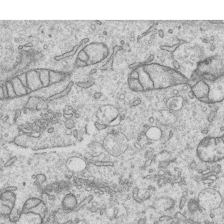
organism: Human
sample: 1205lu cells